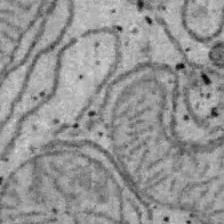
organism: Mouse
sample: Liver from an obese (ob/ob) mouse